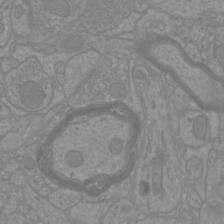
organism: Mouse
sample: Cortical neurons